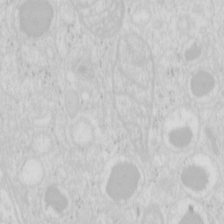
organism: Mouse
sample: Pancreas